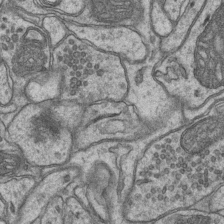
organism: Mouse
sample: CA1 Hippocampus